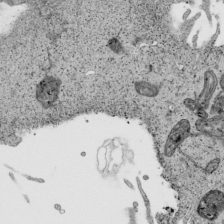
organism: Human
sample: Mitochondria in HCT116 cells